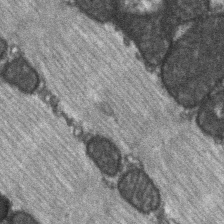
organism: C57BL Mouse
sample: Soleus